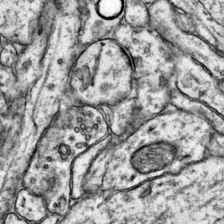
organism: Mouse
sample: Primary visual cortex